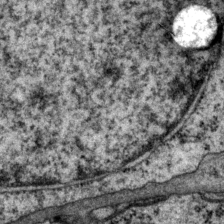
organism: P. pacificus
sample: Pharynx